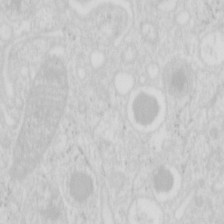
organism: Mouse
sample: Pancreas